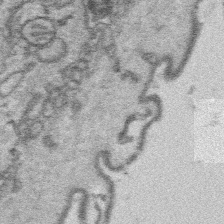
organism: Platynereis dumerilii